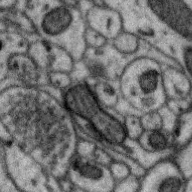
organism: Zebra finch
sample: Brain